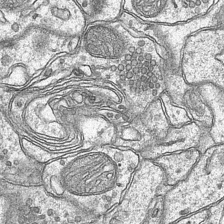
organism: Mouse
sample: CA1 Hippocampus